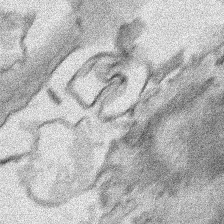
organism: Human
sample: Mitochondria in HCT116 cells